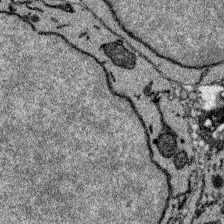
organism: Zebrafish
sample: Larval olfactory bulb